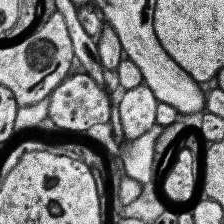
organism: Human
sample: Temporal Lobe